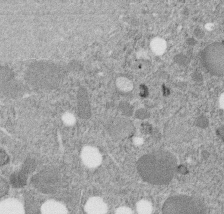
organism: C. elegans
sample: C. elegans embryo early stage